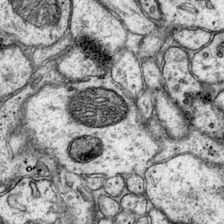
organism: Mouse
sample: Primary visual cortex